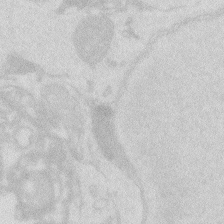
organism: Zebrafish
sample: Macrophage